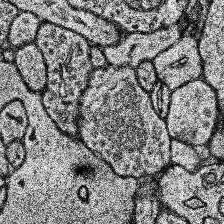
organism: Human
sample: Temporal Lobe